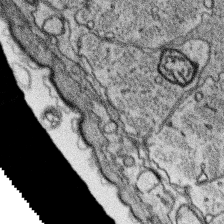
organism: Platynereis dumerilii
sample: Parapodia